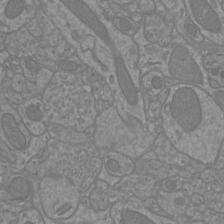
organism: Mouse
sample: Cortical neurons